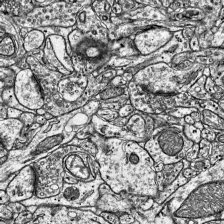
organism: Mouse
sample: Visual Cortex